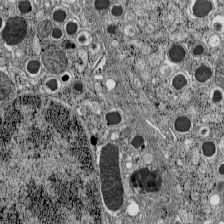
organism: C57BL Mouse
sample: Pancreatic islet